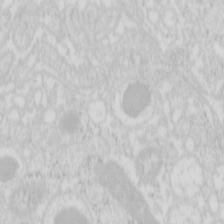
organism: Mouse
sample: Pancreas